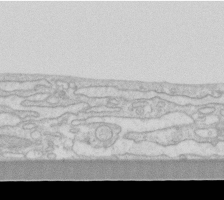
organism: Human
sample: Fibroblast cells